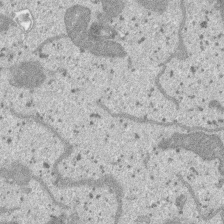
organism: Human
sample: Lung epithelial cells infected with SARS-CoV-2